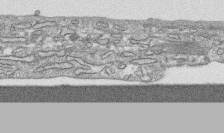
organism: Human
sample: CRL-1474